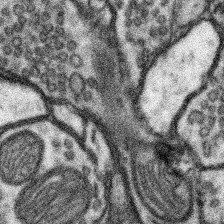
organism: Mouse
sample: Somatosensory cortex neuropil